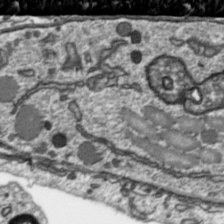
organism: Toxoplasma gondii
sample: Parasites in a vacuole inside a host cell